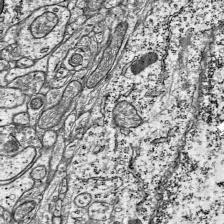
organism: Mouse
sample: Visual Cortex